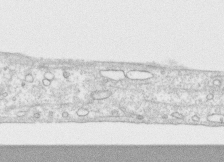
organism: Human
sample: CRL-1474